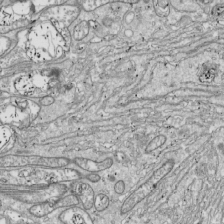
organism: Drosophila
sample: Cell division; meiosis; drosophila spermatocytes